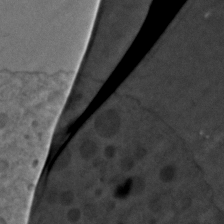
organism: C. elegans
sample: C. elegans embryo